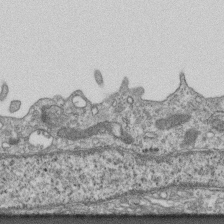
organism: Mouse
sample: Centriole in ependymal cells